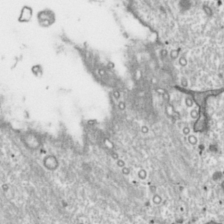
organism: Toxoplasma gondii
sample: Parasites in a vacuole inside a host cell